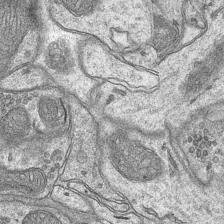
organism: Mouse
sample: CA1 Hippocampus